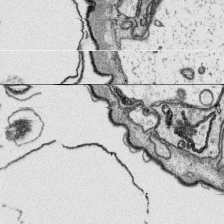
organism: Platynereis dumerilii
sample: Parapodia